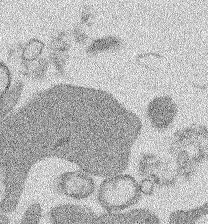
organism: Human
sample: HeLa cells